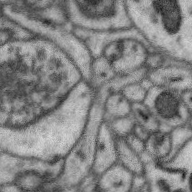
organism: Zebra finch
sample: Brain